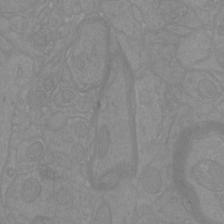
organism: Mouse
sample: Cortical neurons